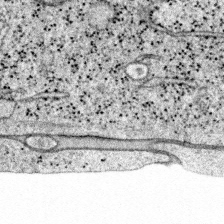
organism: Human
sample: HeLa cells